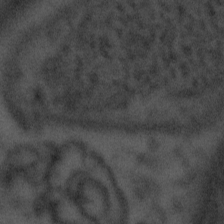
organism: Tuwongella immobilis